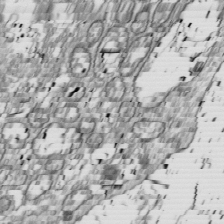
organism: Drosophila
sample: Cell division; meiosis; drosophila spermatocytes